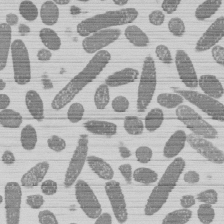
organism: E. coli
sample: Bacterial nucleoid